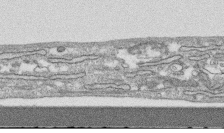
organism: Human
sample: CRL-1474